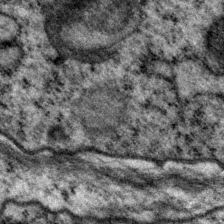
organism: P. pacificus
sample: Pharynx